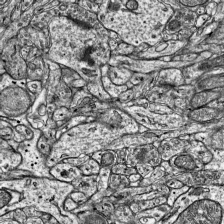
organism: Mouse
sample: Visual Cortex